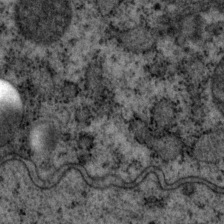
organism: P. pacificus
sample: Pharynx